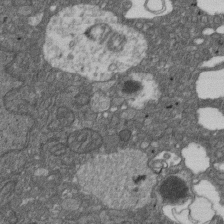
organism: Drosophila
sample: Nephrocyte